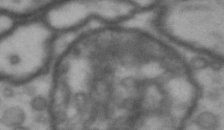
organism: Drosophila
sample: Brain